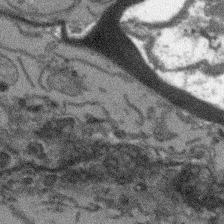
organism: Arabidopsis thaliana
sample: Root tip